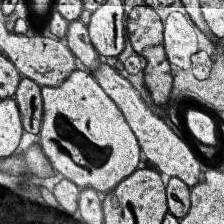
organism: Human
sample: Temporal Lobe